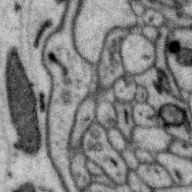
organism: Zebra finch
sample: Brain